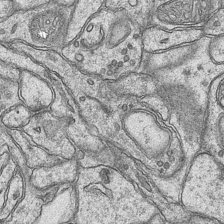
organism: Mouse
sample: CA1 Hippocampus